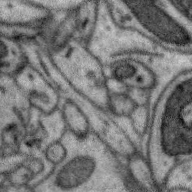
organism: Zebra finch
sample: Brain